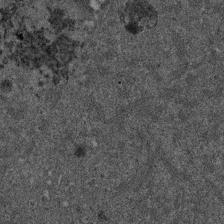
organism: Mouse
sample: Dividing mouse embryo 1 cell stage